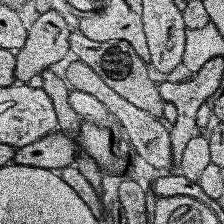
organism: Human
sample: Temporal Lobe